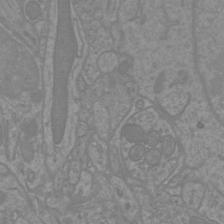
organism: Mouse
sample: Cortical neurons